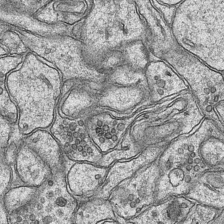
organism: Mouse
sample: CA1 Hippocampus